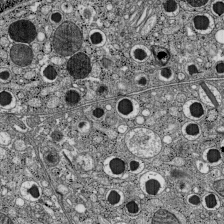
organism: C57BL Mouse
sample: Pancreatic islet